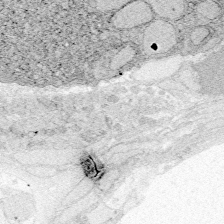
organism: Zebrafish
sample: Whole-Brain